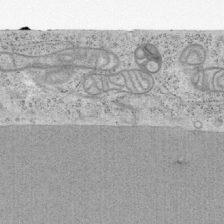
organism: Human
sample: HeLa cells